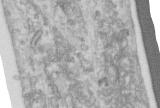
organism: Human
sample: Centriole in RPE cells